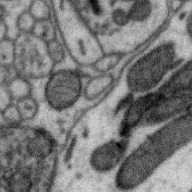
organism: Zebra finch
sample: Brain